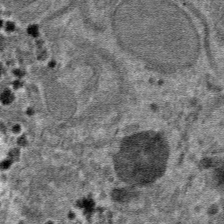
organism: Mouse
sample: Mouse hepatocytes